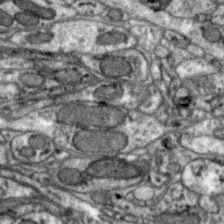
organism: Zebra finch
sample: Brain